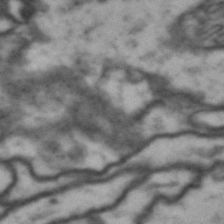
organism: Drosophila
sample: Brain